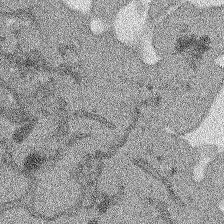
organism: Human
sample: HeLa cells